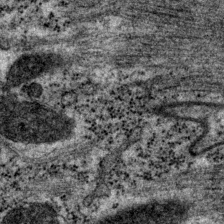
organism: P. pacificus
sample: Pharynx